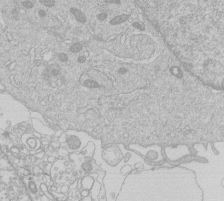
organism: Human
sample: Macrophage cells